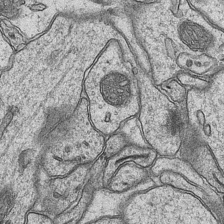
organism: Mouse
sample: CA1 Hippocampus